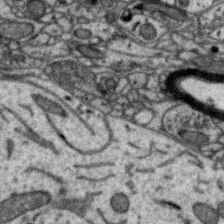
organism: Zebra finch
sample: Brain